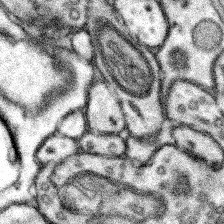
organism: Mouse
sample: Somatosensory cortex neuropil